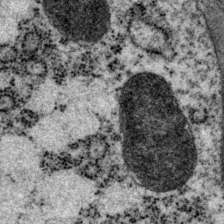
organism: P. pacificus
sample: Pharynx